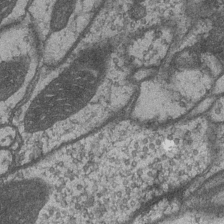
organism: Drosophila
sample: Optic medulla